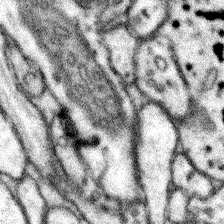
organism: Mouse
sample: Somatosensory cortex neuropil